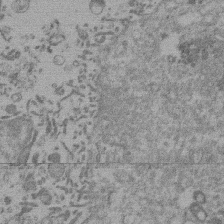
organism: Mouse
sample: Dividing mouse embryo 1 cell stage